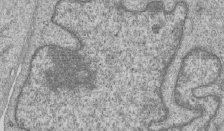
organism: Human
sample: MDA-MB-231 cells